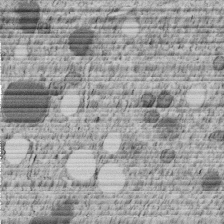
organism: C. elegans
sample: C. elegans embryo early stage